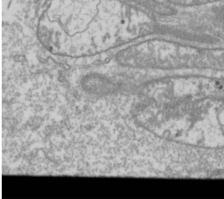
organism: Drosophila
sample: Cell division; meiosis; drosophila spermatocytes